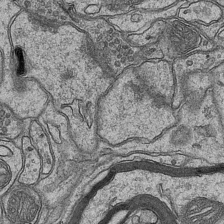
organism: Mouse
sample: CA1 Hippocampus